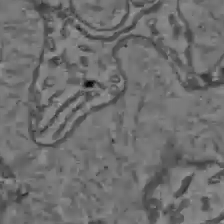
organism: C57BL Mouse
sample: Liver